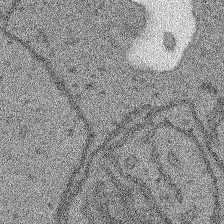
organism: Human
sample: HeLa cells